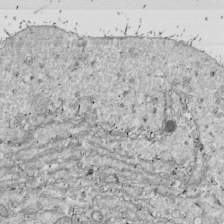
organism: Drosophila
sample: Cell division; meiosis; drosophila spermatocytes